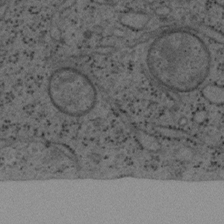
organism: Human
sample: HeLa cells